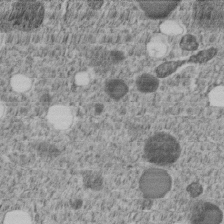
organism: C. elegans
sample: C. elegans embryo early stage